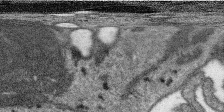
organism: Human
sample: Lung epithelial cells infected with SARS-CoV-2